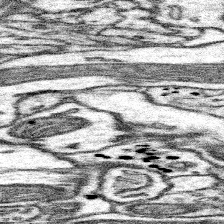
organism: Mouse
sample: Somatosensory cortex neuropil